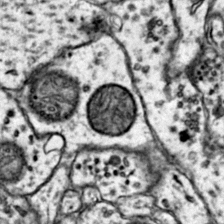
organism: Mouse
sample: Primary visual cortex